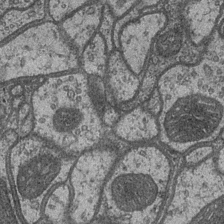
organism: Drosophila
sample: Optic medulla